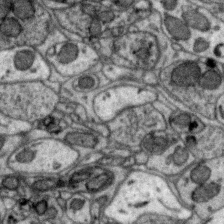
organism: Zebra finch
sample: Brain